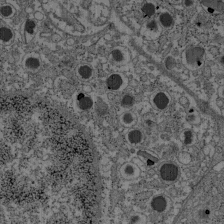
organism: C57BL Mouse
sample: Pancreatic islet